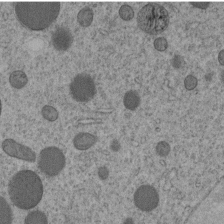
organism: C. elegans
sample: C. elegans embryo early stage